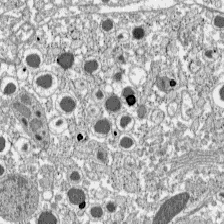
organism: C57BL Mouse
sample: Pancreatic islet